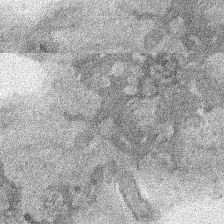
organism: Human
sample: Mitochondria in HCT116 cells